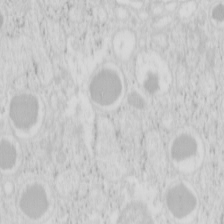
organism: Mouse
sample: Pancreas